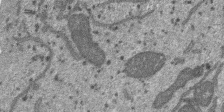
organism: Human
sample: Lung epithelial cells infected with SARS-CoV-2